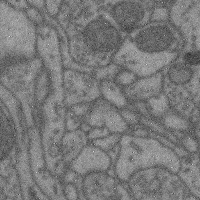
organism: Mouse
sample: Cerebral cortex